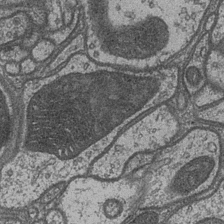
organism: Drosophila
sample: Optic medulla